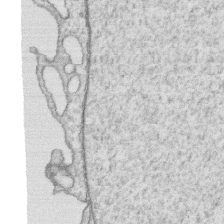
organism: Human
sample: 1205lu cells